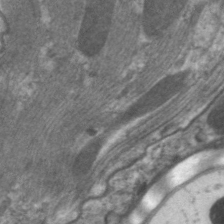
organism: C. elegans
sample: Pharynx